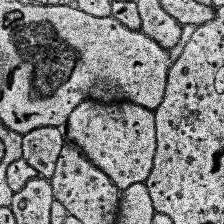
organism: Human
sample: Temporal Lobe